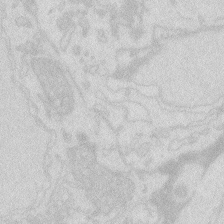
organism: Zebrafish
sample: Macrophage